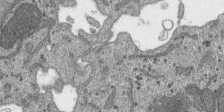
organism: Human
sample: Lung epithelial cells infected with SARS-CoV-2